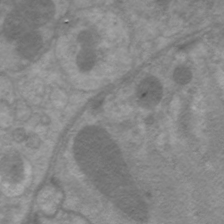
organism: C. elegans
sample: Pharynx